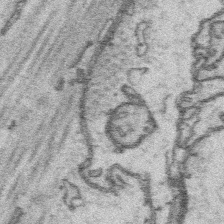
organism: Platynereis dumerilii